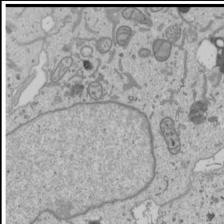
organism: Human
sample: Mitochondria in U2OS cells